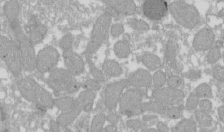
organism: Xenopus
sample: Cilia; centrioles in frog embryo cells